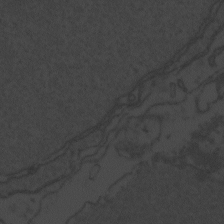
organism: Zebrafish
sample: Macrophage infected with Toxoplasma gondii